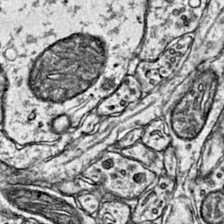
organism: Mouse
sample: Primary visual cortex